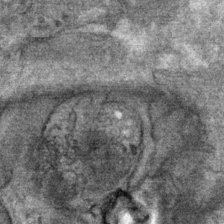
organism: Mouse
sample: Mouse Salivary gland